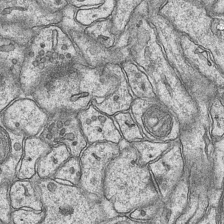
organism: Mouse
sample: CA1 Hippocampus